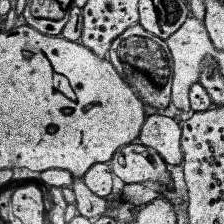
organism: Human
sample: Temporal Lobe